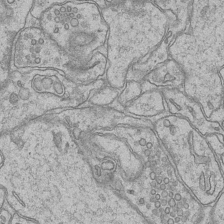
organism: Mouse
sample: CA1 Hippocampus